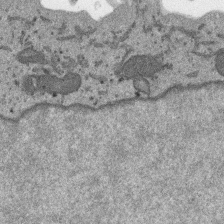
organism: Human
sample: Lung epithelial cells infected with SARS-CoV-2